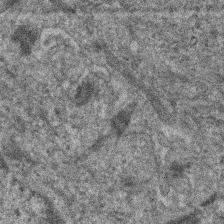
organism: Human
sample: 1205lu cells